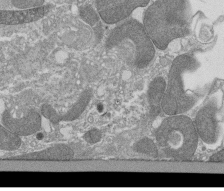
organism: Tetrahymena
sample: Cilia in tetrahymena